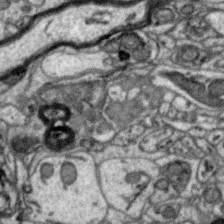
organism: Zebra finch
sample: Brain